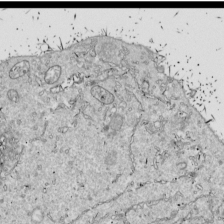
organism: Drosophila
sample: Cell division; meiosis; drosophila spermatocytes